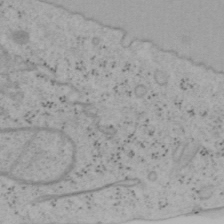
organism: Human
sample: HeLa cells